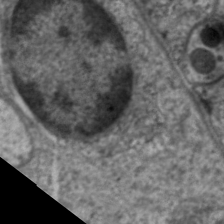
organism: C. elegans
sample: Pharynx